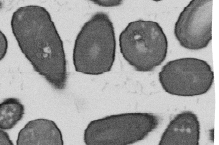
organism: B. subtilis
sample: Bacterial spore